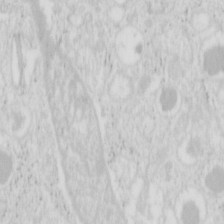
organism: Mouse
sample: Pancreas